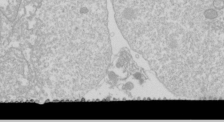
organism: Drosophila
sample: Cell division; meiosis; drosophila spermatocytes